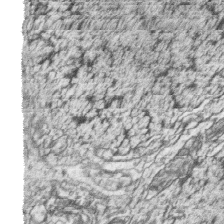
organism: Zebrafish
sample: synaptic ribbons in rod cells and cone cells